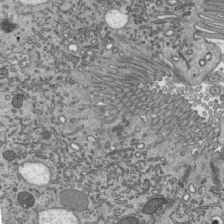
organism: Mouse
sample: Mouse epididymis efferent ductule cilia